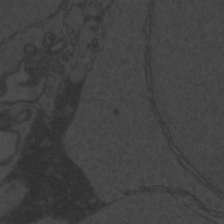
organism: Zebrafish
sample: Macrophage infected with Toxoplasma gondii